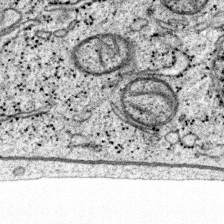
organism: Human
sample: HeLa cells